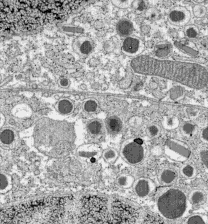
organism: C57BL Mouse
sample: Pancreatic islet